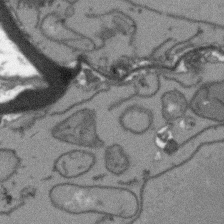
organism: Arabidopsis thaliana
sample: Root tip